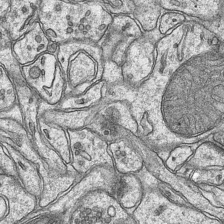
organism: Mouse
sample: CA1 Hippocampus